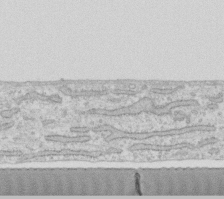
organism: Human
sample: Fibroblast cells